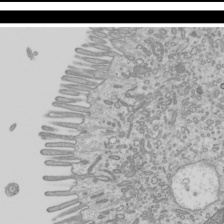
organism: Mouse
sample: Cilia; mouse epididymis